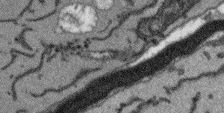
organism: Arabidopsis thaliana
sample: Root tip